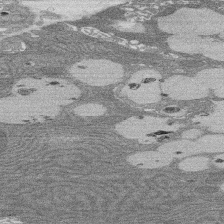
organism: Rat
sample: Salivary granule